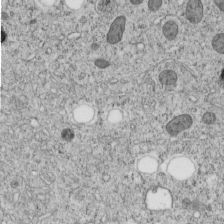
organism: C. elegans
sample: C. elegans embryo early stage